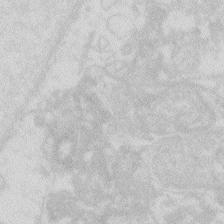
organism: Zebrafish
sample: Macrophage